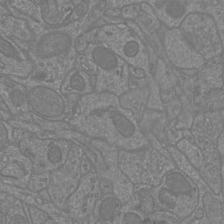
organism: Mouse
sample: Cortical neurons